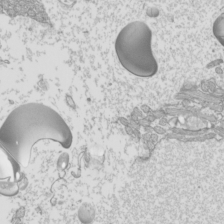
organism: Mouse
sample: Cilia; mouse epididymis